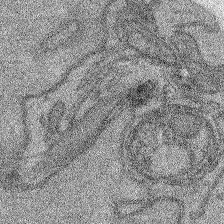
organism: Human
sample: HeLa cells